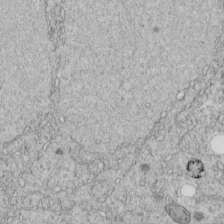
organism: C. elegans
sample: C. elegans embryo early stage